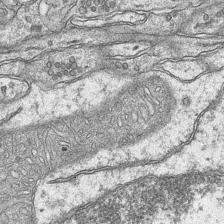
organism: Mouse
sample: CA1 Hippocampus